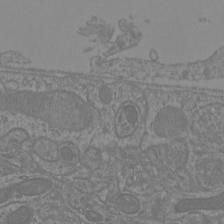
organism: Mouse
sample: Cortical neurons